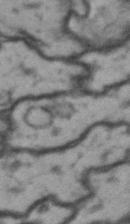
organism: Drosophila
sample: Brain